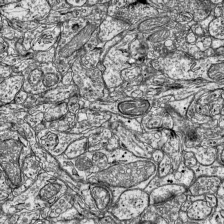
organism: Mouse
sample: Visual Cortex